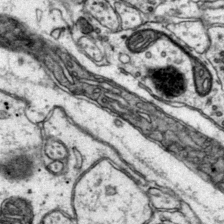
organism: Mouse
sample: Primary visual cortex